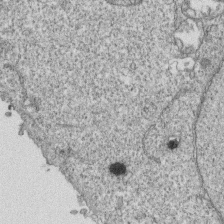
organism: Human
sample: HeLa cell HIV synapse